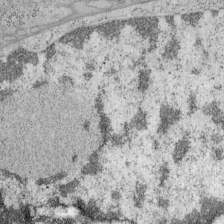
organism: Mouse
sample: OT-I killer T cells with ID8 ovarian cancer cells